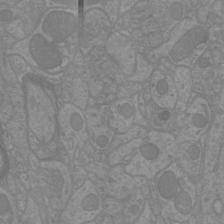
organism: Mouse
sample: Cortical neurons